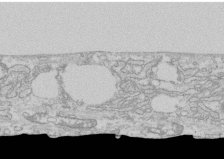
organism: Human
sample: CRL-1474